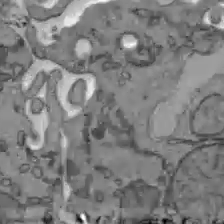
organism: C57BL Mouse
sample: Liver